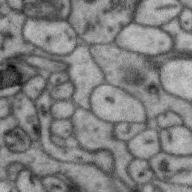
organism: Zebra finch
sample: Brain